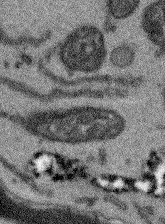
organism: Arabidopsis thaliana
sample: Root tip